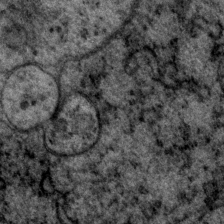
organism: P. pacificus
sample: Pharynx